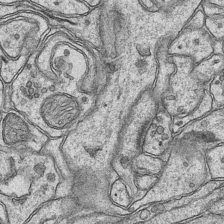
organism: Mouse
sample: CA1 Hippocampus